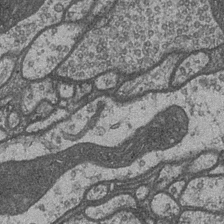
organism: Drosophila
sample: Optic medulla